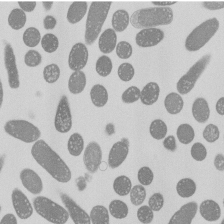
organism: E. coli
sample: Bacterial nucleoid